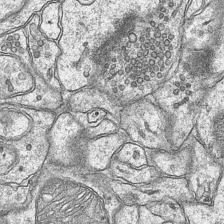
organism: Mouse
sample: CA1 Hippocampus